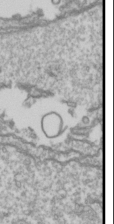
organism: Drosophila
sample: Cell division; meiosis; drosophila spermatocytes